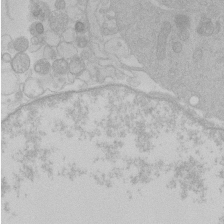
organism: Human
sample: Macrophage cells